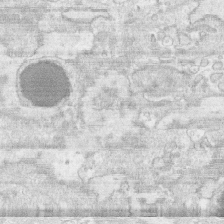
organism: Human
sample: CRL-1474